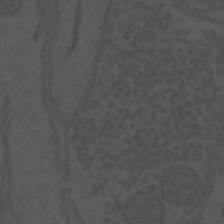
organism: Mouse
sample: Suprachiasmatic nucleus